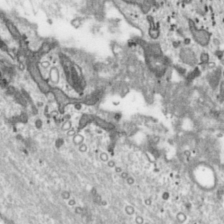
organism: Toxoplasma gondii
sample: Parasites in a vacuole inside a host cell